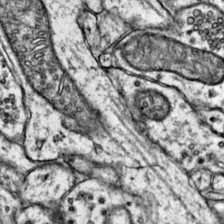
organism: Mouse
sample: Primary visual cortex